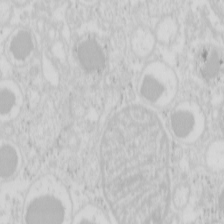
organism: Mouse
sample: Pancreas